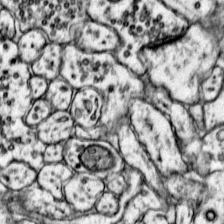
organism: Mouse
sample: Primary visual cortex